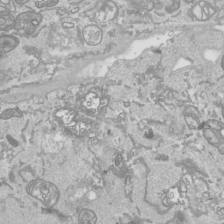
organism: Human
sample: Mitochondria in HCT116 cells